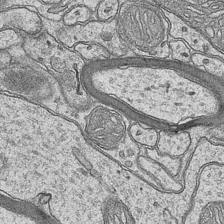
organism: Mouse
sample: CA1 Hippocampus